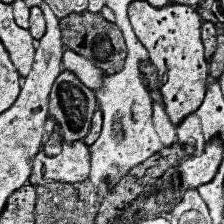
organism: Human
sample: Temporal Lobe